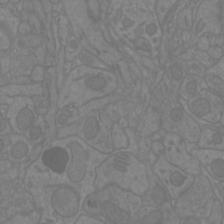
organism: Mouse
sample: Cortical neurons